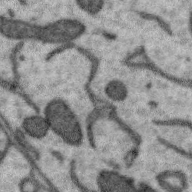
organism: Zebra finch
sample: Brain